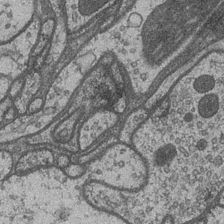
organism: Drosophila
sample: Optic medulla